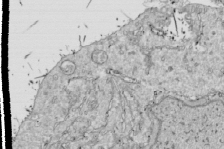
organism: Drosophila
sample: Cell division; meiosis; drosophila spermatocytes